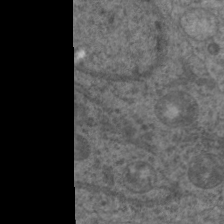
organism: C. elegans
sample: Pharynx